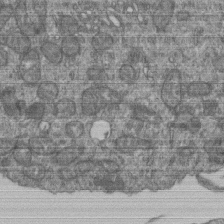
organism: Human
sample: Retinal organoid Rod and Cone cells